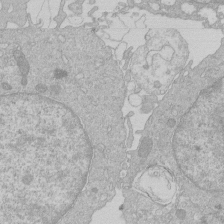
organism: Human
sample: Macrophage cells